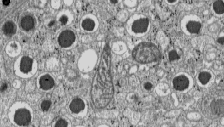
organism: C57BL Mouse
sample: Pancreatic islet